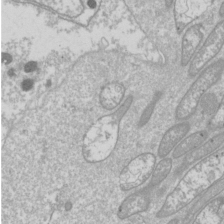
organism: Drosophila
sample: Cell division; meiosis; drosophila spermatocytes